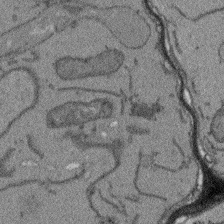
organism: Arabidopsis thaliana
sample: Root tip